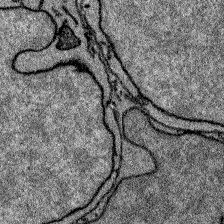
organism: Zebrafish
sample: Larval olfactory bulb